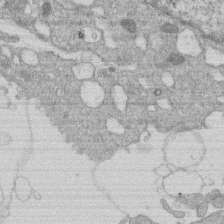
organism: Human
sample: Macrophage cells